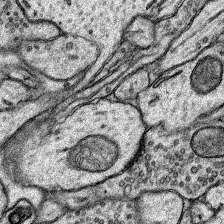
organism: Rat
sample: Hippocampus